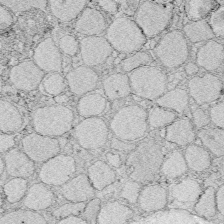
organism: Zebrafish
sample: Whole-Brain